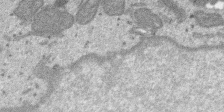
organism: Human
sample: Lung epithelial cells infected with SARS-CoV-2